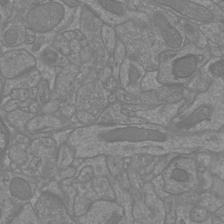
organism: Mouse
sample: Cortical neurons